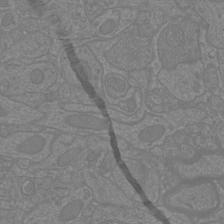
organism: Mouse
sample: Cortical neurons